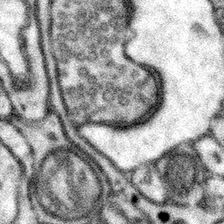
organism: Mouse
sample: Somatosensory cortex neuropil